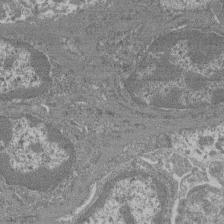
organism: Mouse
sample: Glomerulus